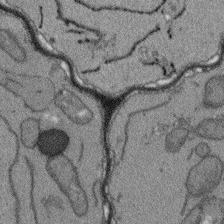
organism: Arabidopsis thaliana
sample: Root tip